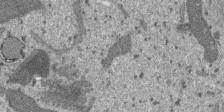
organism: Human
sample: Lung epithelial cells infected with SARS-CoV-2